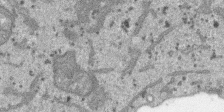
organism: Human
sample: Lung epithelial cells infected with SARS-CoV-2